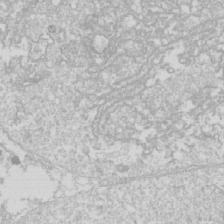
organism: Drosophila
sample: Cell division; meiosis; drosophila spermatocytes